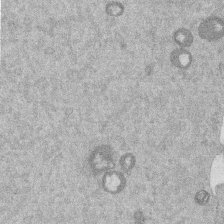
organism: Mouse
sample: Dividing mouse embryo 1 cell stage